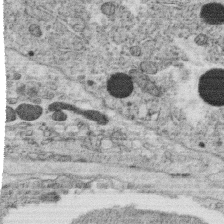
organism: C. elegans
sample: C. elegans oocyte; sperm cells